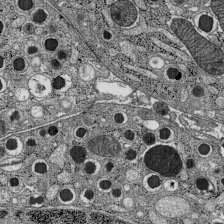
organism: C57BL Mouse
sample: Pancreatic islet